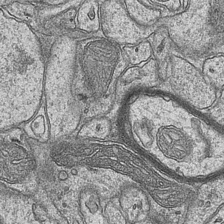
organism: Mouse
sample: CA1 Hippocampus